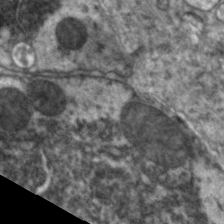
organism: C. elegans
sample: Pharynx